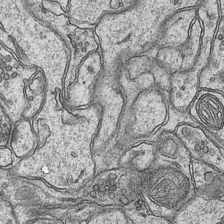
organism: Mouse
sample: CA1 Hippocampus